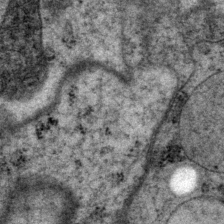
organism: P. pacificus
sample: Pharynx